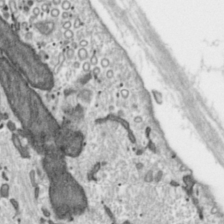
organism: Toxoplasma gondii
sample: Parasites in a vacuole inside a host cell